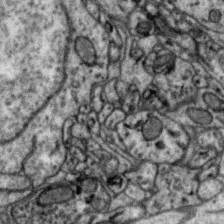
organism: Zebra finch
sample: Brain